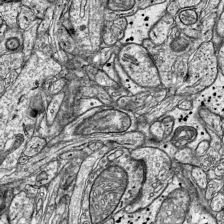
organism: Mouse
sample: Visual Cortex